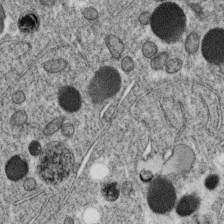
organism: C. elegans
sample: C. elegans oocyte; sperm cells